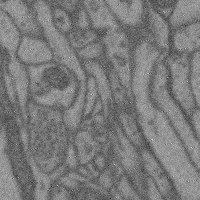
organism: Mouse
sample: Cerebral cortex